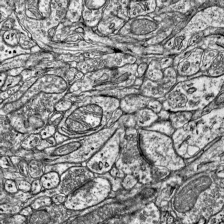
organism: Mouse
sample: Visual Cortex